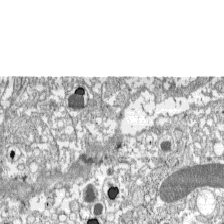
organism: C57BL Mouse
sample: Pancreatic islet